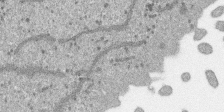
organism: Human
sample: Lung epithelial cells infected with SARS-CoV-2